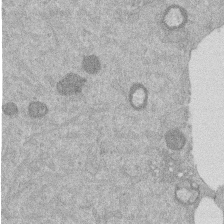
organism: Mouse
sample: Dividing mouse embryo 1 cell stage